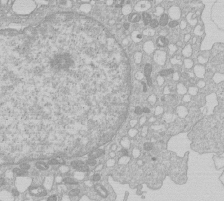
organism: Human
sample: Macrophage cells